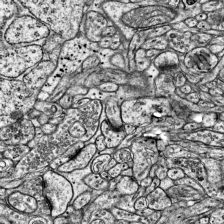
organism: Mouse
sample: Visual Cortex